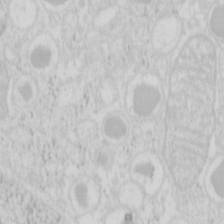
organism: Mouse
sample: Pancreas